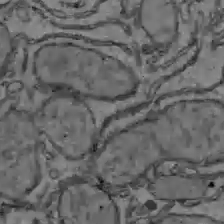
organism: C57BL Mouse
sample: Liver